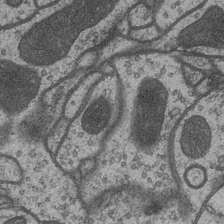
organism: Drosophila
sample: Optic medulla